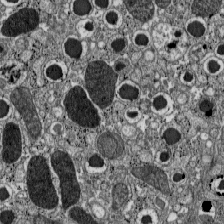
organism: C57BL Mouse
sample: Pancreatic islet